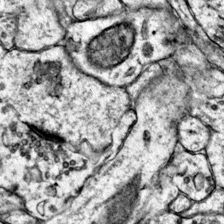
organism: Mouse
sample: Primary visual cortex